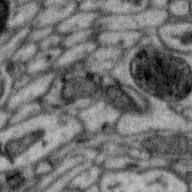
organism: Zebra finch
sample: Brain